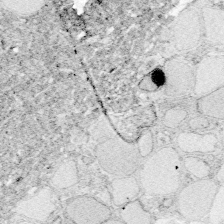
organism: Zebrafish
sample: Whole-Brain